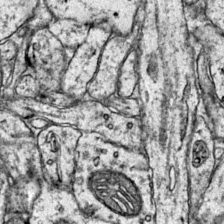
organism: Mouse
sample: Primary visual cortex